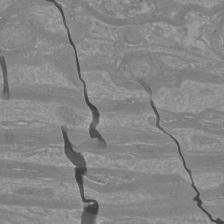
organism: Mouse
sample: Cortical neurons